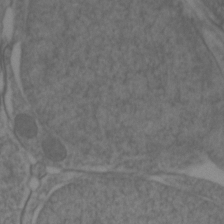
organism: Zebrafish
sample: Zebrafish embryo